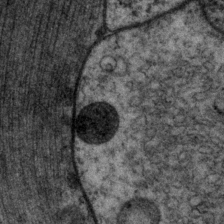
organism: P. pacificus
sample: Pharynx